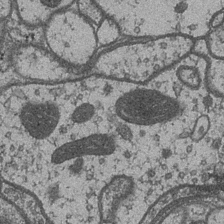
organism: Drosophila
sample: Optic medulla